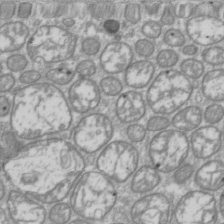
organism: Drosophila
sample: Cell division; meiosis; drosophila spermatocytes